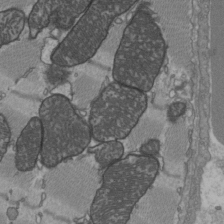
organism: C57BL Mouse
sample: Heart